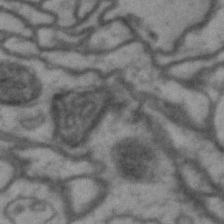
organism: Drosophila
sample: Brain